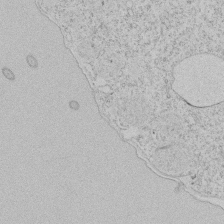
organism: Tetrahymena